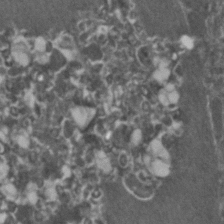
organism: Zebrafish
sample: Zebrafish embryo